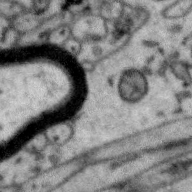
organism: Zebra finch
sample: Brain